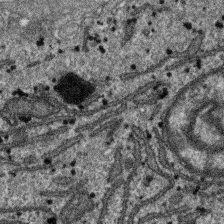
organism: Human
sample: Lung epithelial cells infected with SARS-CoV-2